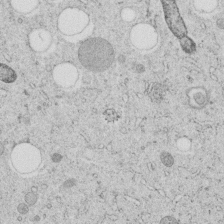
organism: C. elegans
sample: C. elegans embryo early stage